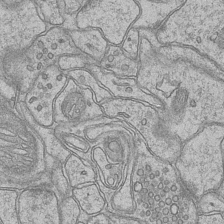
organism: Mouse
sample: CA1 Hippocampus